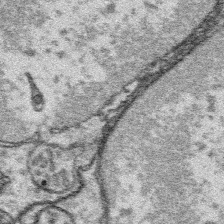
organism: Platynereis dumerilii